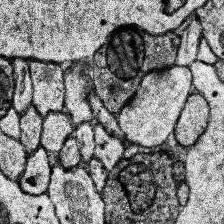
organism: Human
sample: Temporal Lobe